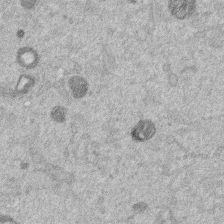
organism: Mouse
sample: Dividing mouse embryo 1 cell stage